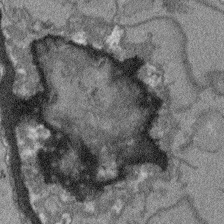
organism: Arabidopsis thaliana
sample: Root tip